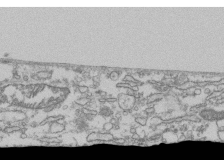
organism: Human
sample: Fibroblast cells